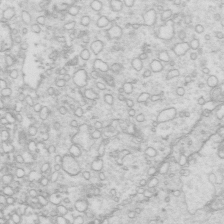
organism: Mouse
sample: Multiciliated cells